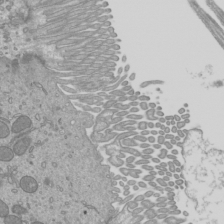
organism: Mouse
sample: Cilia; mouse epididymis